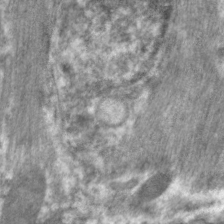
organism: C. elegans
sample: Pharynx